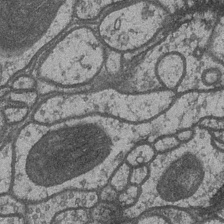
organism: Drosophila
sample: Optic medulla